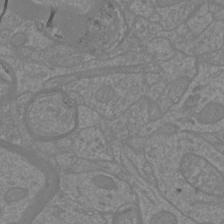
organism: Mouse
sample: Cortical neurons